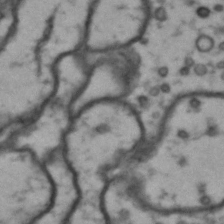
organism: Drosophila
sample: Brain